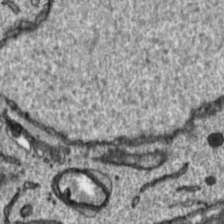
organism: Toxoplasma gondii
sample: Parasites in a vacuole inside a host cell